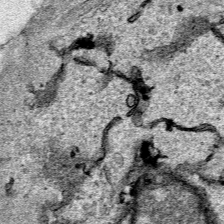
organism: Human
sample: Mitochondria in HCT116 cells